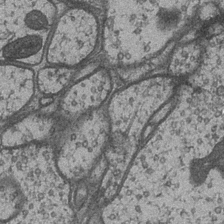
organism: Drosophila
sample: Optic medulla